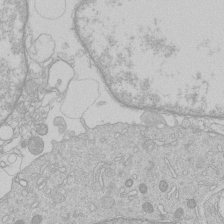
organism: Human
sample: Macrophage cells